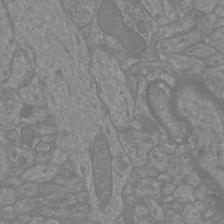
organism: Mouse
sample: Cortical neurons